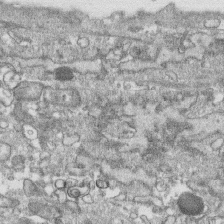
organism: Human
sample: CRL-1474